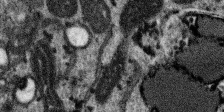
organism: Human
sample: Lung epithelial cells infected with SARS-CoV-2